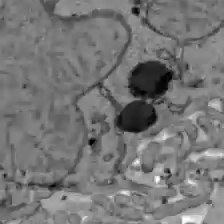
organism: C57BL Mouse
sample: Liver